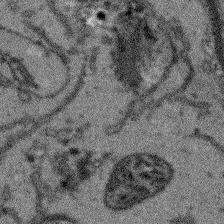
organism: Arabidopsis thaliana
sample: Root tip